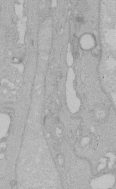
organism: Human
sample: Melanocyte Keratinocyte synapse skin construct